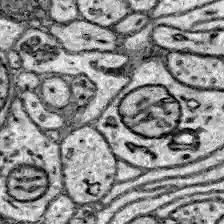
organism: Zebrafish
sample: Brain